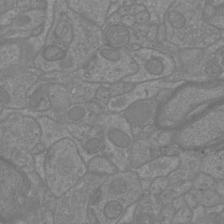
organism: Mouse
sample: Cortical neurons